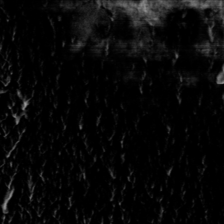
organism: Toxoplasma gondii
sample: Parasites in a vacuole inside a host cell